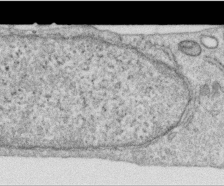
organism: Human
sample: Centriole in RPE cells